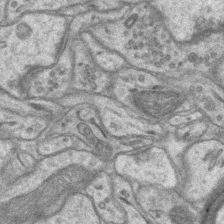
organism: Mouse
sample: CA1 Hippocampus